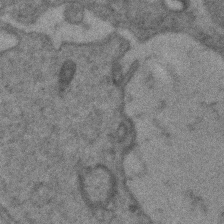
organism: Zebrafish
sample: Zebrafish embryo